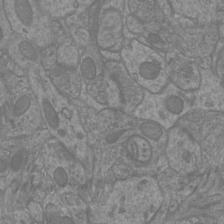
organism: Mouse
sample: Cortical neurons